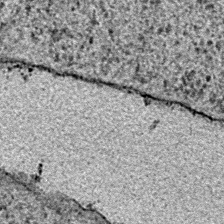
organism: E. coli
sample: E. Coli Bacteria